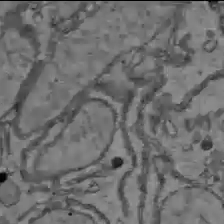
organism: C57BL Mouse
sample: Liver